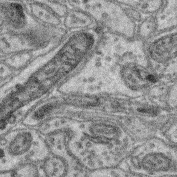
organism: Mouse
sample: Retina